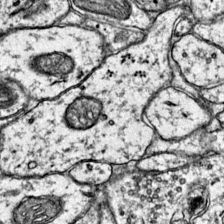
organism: Mouse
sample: Primary visual cortex